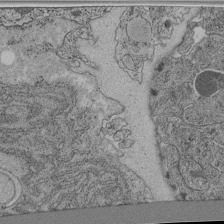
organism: C. elegans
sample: C. elegans pharynx